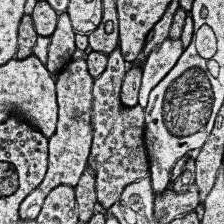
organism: Human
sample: Temporal Lobe